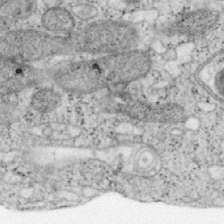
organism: Mouse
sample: OT-I killer T cells with ID8 ovarian cancer cells